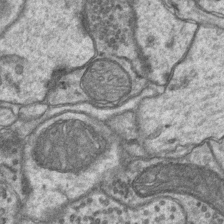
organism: Mouse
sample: CA1 Hippocampus